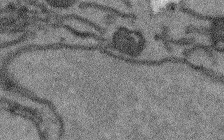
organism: Arabidopsis thaliana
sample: Root tip